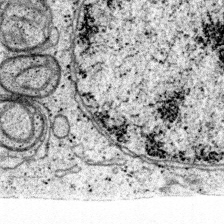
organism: Human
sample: HeLa cells